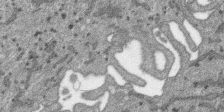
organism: Human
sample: Lung epithelial cells infected with SARS-CoV-2